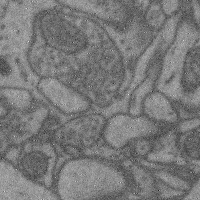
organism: Mouse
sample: Cerebral cortex